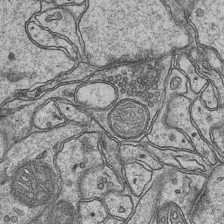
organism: Mouse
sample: CA1 Hippocampus